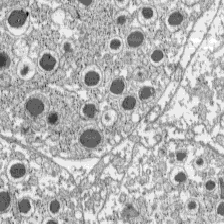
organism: C57BL Mouse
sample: Pancreatic islet